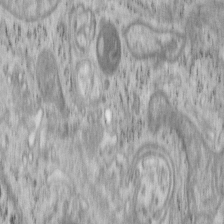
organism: Human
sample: HeLa cells